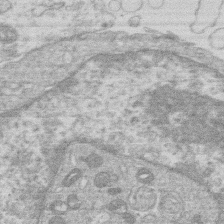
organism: Human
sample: Macrophage cells